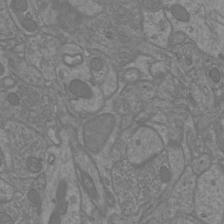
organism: Mouse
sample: Cortical neurons